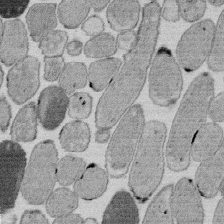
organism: E. coli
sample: Bacterial nucleoid